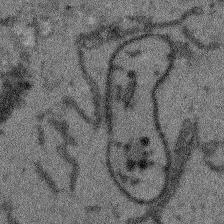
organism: Arabidopsis thaliana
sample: Root tip